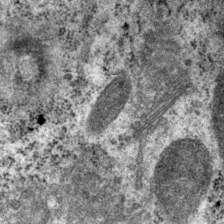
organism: P. pacificus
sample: Pharynx